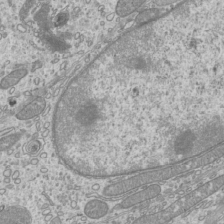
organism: Mouse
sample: Cilia; mouse epididymis